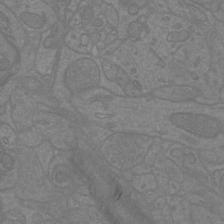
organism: Mouse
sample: Cortical neurons